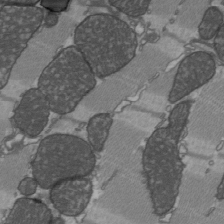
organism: C57BL Mouse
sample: Heart